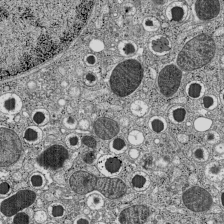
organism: C57BL Mouse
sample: Pancreatic islet